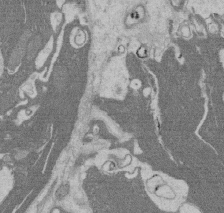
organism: Rat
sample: Salivary granule